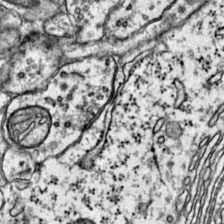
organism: Mouse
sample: Primary visual cortex